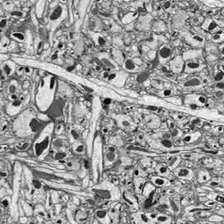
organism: Drosophila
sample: Optic lobe